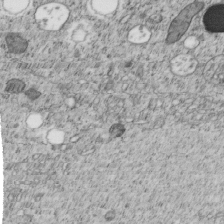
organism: C. elegans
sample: C. elegans embryo early stage